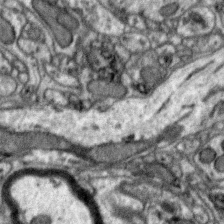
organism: Zebra finch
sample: Brain